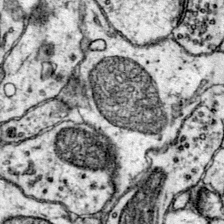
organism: Mouse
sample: Primary visual cortex